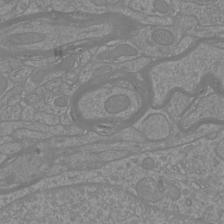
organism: Mouse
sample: Cortical neurons